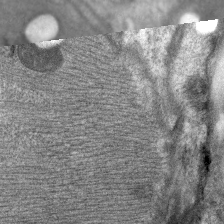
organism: C. elegans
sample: Pharynx